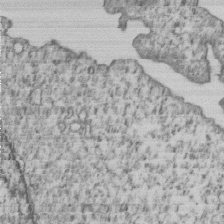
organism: Human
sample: MDA-MB-231 cells